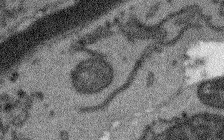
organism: Arabidopsis thaliana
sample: Root tip